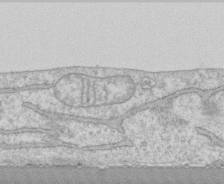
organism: Human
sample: CRL-1474